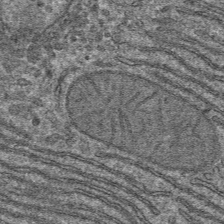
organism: Mouse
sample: Mouse hepatocytes